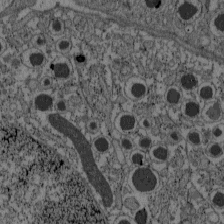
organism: C57BL Mouse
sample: Pancreatic islet